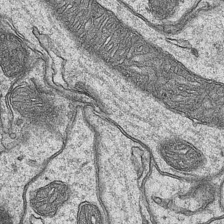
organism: Mouse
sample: CA1 Hippocampus